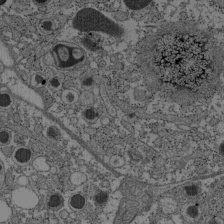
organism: C57BL Mouse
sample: Pancreatic islet